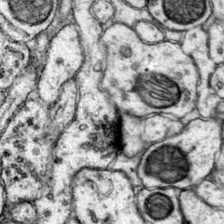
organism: Mouse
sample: Primary visual cortex